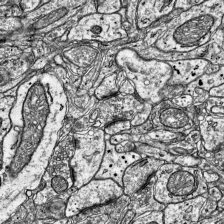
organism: Mouse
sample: Visual Cortex